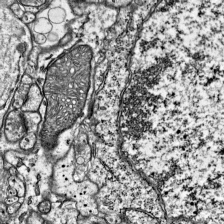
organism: Mouse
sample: Visual Cortex